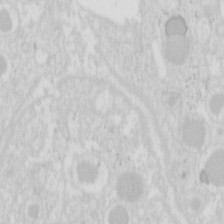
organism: Mouse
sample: Pancreas